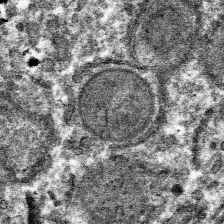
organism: Mouse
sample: Mouse hepatocytes